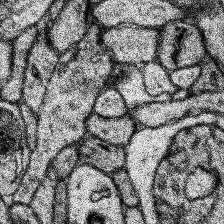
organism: Human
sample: Temporal Lobe